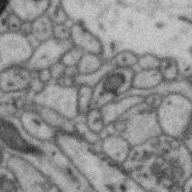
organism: Zebra finch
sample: Brain